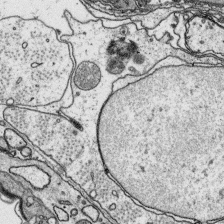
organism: Platynereis dumerilii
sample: Parapodia